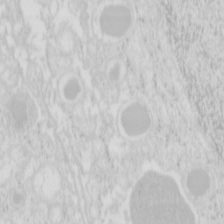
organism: Mouse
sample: Pancreas